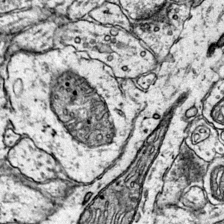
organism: Mouse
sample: Primary visual cortex